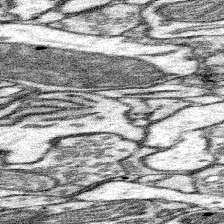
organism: Mouse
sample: Somatosensory cortex neuropil